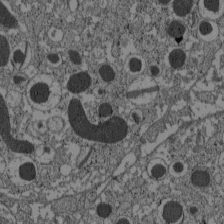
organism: C57BL Mouse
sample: Pancreatic islet